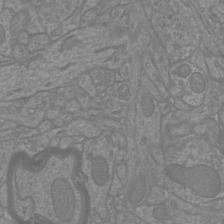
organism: Mouse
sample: Cortical neurons